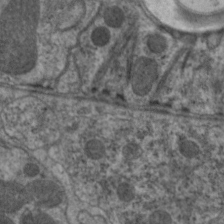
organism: C. elegans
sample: Pharynx